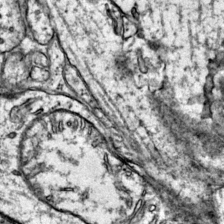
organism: Mouse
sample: Primary visual cortex